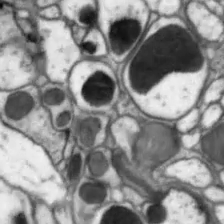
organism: Drosophila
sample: Optic lobe